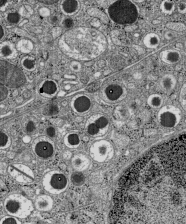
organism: C57BL Mouse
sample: Pancreatic islet